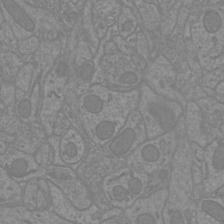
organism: Mouse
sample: Cortical neurons